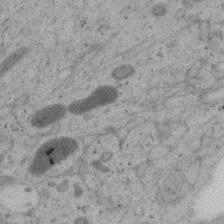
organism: Human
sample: HeLa cells